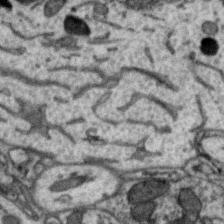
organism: Zebra finch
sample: Brain